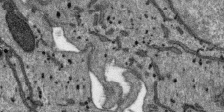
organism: Human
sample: Lung epithelial cells, uninfected (mock) control